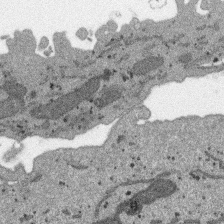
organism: Human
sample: Lung epithelial cells infected with SARS-CoV-2